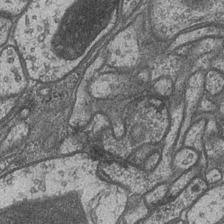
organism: Drosophila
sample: Optic medulla